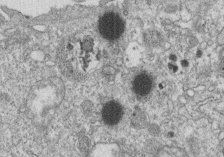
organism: Human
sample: HeLa cell HIV synapse